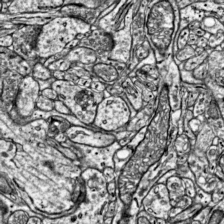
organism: Mouse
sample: Visual Cortex